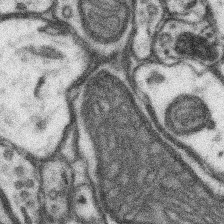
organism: Mouse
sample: Somatosensory cortex neuropil